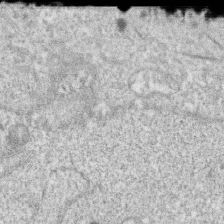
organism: Human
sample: HeLa cell HIV synapse